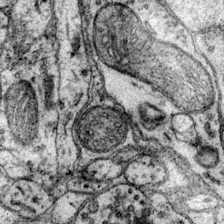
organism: Mouse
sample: Primary visual cortex